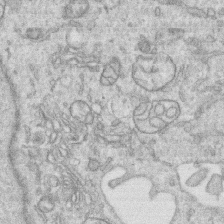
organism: Human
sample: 1205lu cells